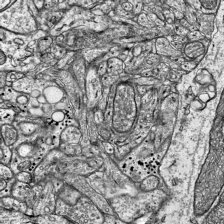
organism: Mouse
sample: Visual Cortex